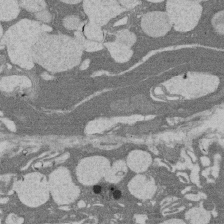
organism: Rat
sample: Salivary granule